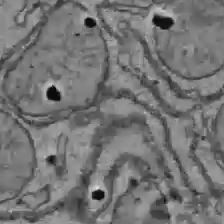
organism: C57BL Mouse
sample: Liver